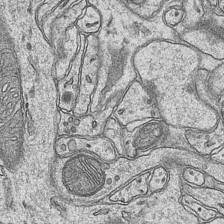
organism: Mouse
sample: CA1 Hippocampus